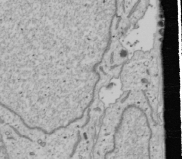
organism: Human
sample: Mitochondria in U2OS cells